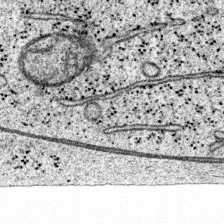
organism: Human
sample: HeLa cells